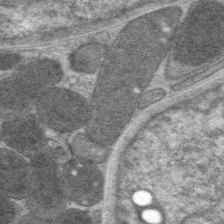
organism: C. elegans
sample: Pharynx